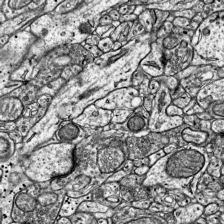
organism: Mouse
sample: Visual Cortex